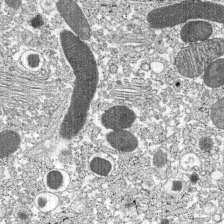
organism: C57BL Mouse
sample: Pancreatic islet